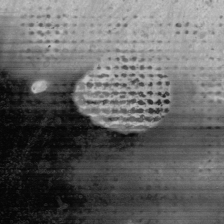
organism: Human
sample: Mitochondria in U2OS cells